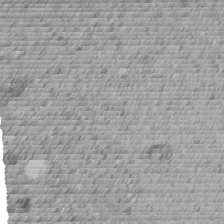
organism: C. elegans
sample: C. elegans embryo early stage